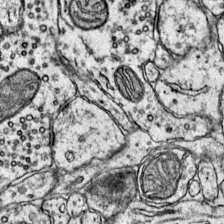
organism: Mouse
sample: Primary visual cortex